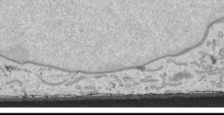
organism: Human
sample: Mitochondria in HCT116 cells